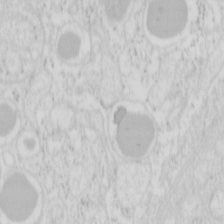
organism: Mouse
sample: Pancreas